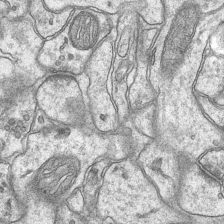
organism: Mouse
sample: CA1 Hippocampus